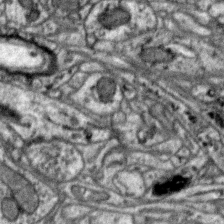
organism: Zebra finch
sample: Brain